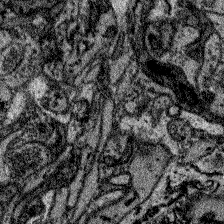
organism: Zebrafish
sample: Larval olfactory bulb